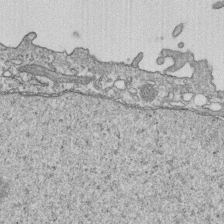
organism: Human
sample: HeLa cell HIV synapse